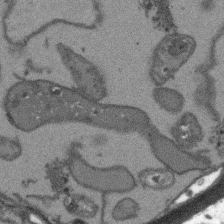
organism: Arabidopsis thaliana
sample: Root tip